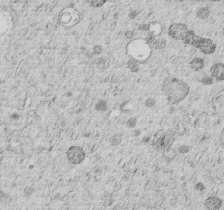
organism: C. elegans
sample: C. elegans embryo early stage